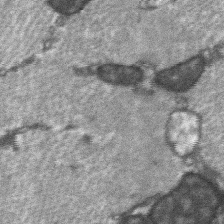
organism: C57BL Mouse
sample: Soleus